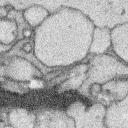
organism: Rabbit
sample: Retina